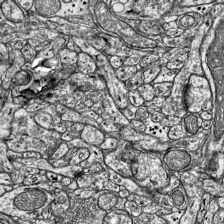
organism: Mouse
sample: Visual Cortex